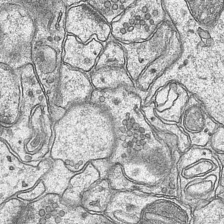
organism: Mouse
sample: CA1 Hippocampus